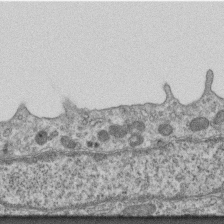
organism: Mouse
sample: Centriole in ependymal cells